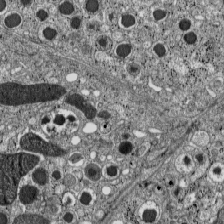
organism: C57BL Mouse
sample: Pancreatic islet